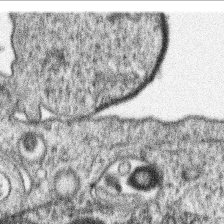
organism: Human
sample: HeLa cells